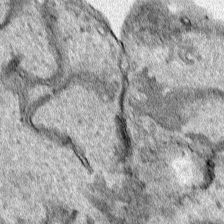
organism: Human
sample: Mitochondria in HCT116 cells